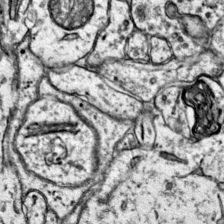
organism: Mouse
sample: Primary visual cortex